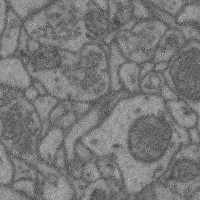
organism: Mouse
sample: Cerebral cortex